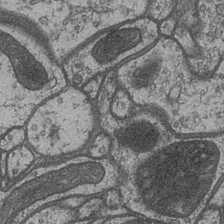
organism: Drosophila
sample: Optic medulla